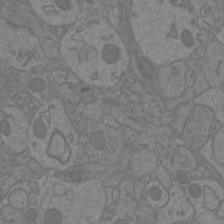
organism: Mouse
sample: Cortical neurons